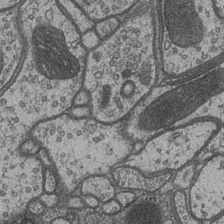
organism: Drosophila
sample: Optic medulla